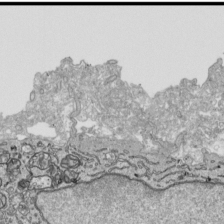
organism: Human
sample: Mitochondria in HCT116 cells